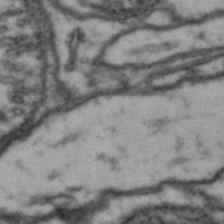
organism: Drosophila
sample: Brain